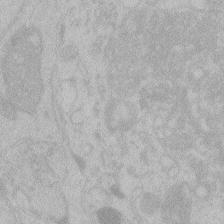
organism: Zebrafish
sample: Macrophage infected with Toxoplasma gondii